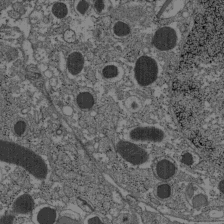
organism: C57BL Mouse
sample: Pancreatic islet